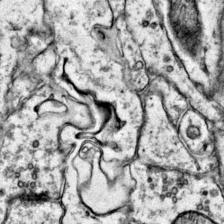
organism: Mouse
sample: Primary visual cortex